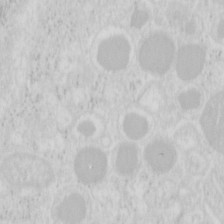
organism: Mouse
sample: Pancreas